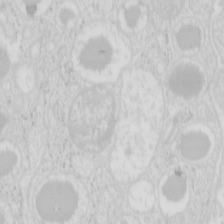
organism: Mouse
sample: Pancreas